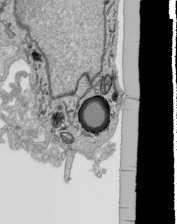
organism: Human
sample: Mitochondria in HCT116 cells